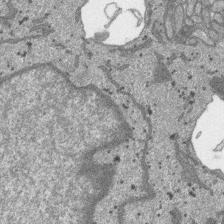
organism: Human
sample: Lung epithelial cells infected with SARS-CoV-2